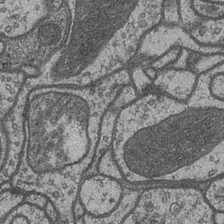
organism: Drosophila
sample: Optic medulla